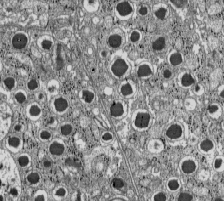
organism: C57BL Mouse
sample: Pancreatic islet